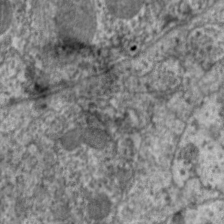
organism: C. elegans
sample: Pharynx